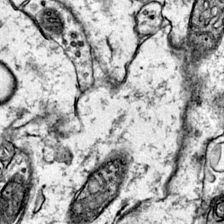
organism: Mouse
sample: Primary visual cortex